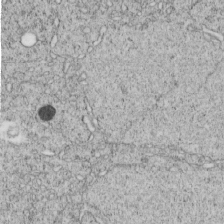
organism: C. elegans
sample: C. elegans embryo early stage